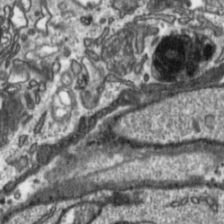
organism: Toxoplasma gondii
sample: Parasites in a vacuole inside a host cell